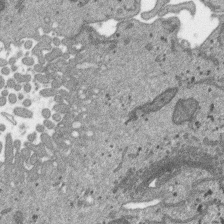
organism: Human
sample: Lung epithelial cells infected with SARS-CoV-2